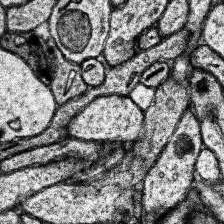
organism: Human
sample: Temporal Lobe